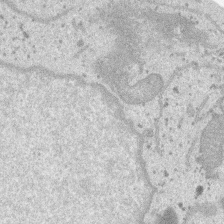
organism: Human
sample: Lung epithelial cells infected with SARS-CoV-2